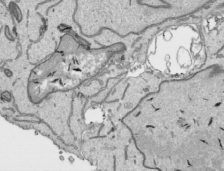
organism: Human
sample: Mitochondria in HCT116 cells